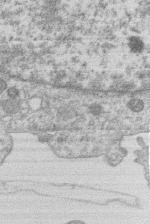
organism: Human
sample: Macrophage cells